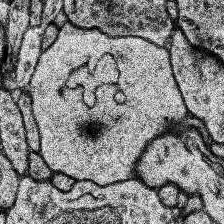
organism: Human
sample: Temporal Lobe